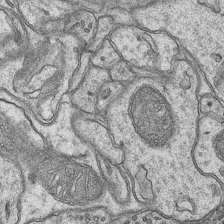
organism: Mouse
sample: CA1 Hippocampus